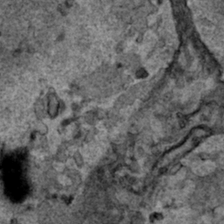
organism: Human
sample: Mitochondria in HCT116 cells